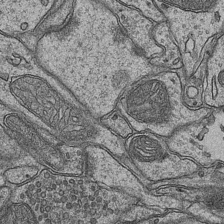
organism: Mouse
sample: CA1 Hippocampus